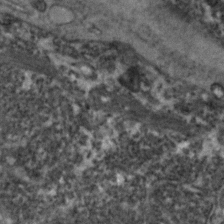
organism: Zebrafish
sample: Zebrafish embryo